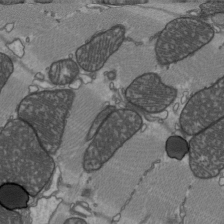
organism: C57BL Mouse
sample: Heart